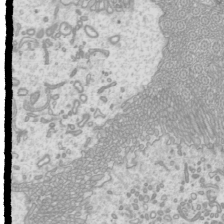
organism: Mouse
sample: Cilia; mouse epididymis